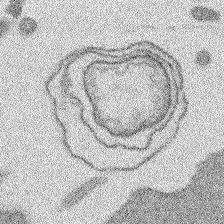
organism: Human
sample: HeLa cells